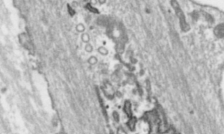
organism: Toxoplasma gondii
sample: Parasites in a vacuole inside a host cell